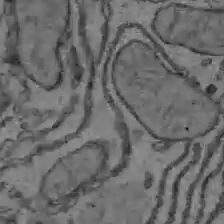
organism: C57BL Mouse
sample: Liver